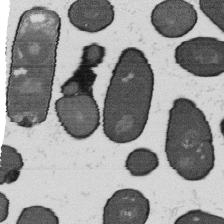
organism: B. subtilis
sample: Bacterial spore